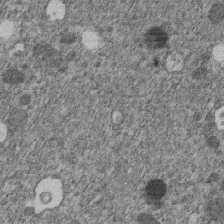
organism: C. elegans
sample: C. elegans embryo early stage